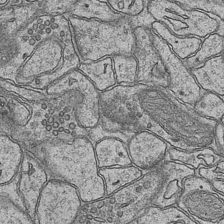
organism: Mouse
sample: CA1 Hippocampus